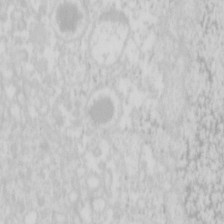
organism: Mouse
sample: Pancreas